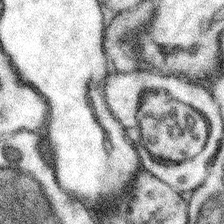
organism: Mouse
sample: Somatosensory cortex neuropil